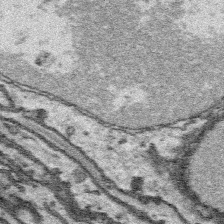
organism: Platynereis dumerilii